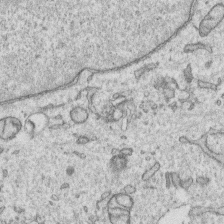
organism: Human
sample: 1205lu cells